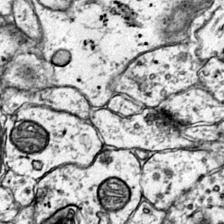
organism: Mouse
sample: Primary visual cortex